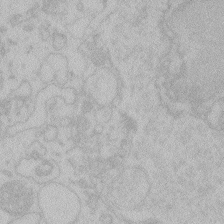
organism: Zebrafish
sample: Macrophage infected with Toxoplasma gondii